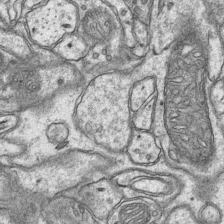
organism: Mouse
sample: CA1 Hippocampus